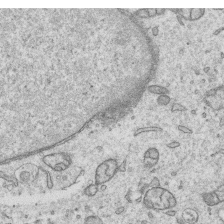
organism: Human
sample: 1205lu cells